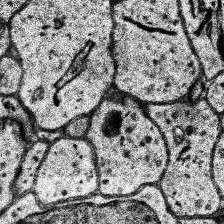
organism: Human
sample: Temporal Lobe